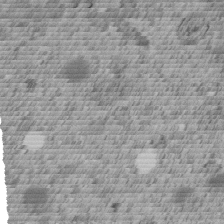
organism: C. elegans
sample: C. elegans embryo early stage